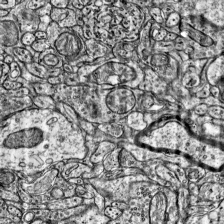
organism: Mouse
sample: Visual Cortex